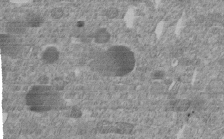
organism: C. elegans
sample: C. elegans embryo early stage